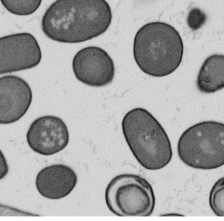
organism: B. subtilis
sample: Bacterial spore